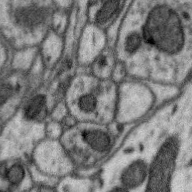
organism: Zebra finch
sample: Brain